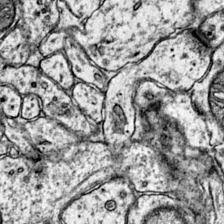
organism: Mouse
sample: Primary visual cortex